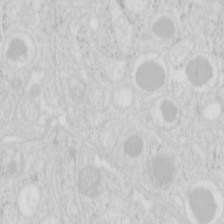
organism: Mouse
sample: Pancreas